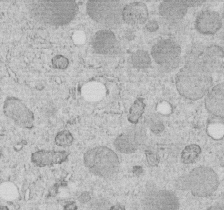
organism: C. elegans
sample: C. elegans embryo early stage